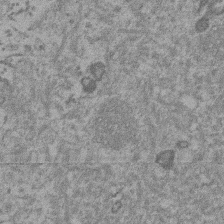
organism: Mouse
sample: Dividing mouse embryo 1 cell stage